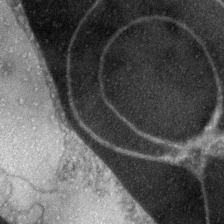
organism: Zebrafish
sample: Zebrafish embryo